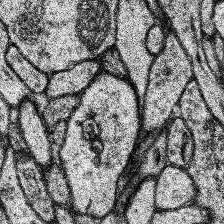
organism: Human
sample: Temporal Lobe